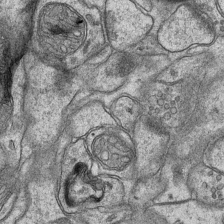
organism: Mouse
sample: CA1 Hippocampus